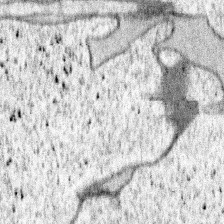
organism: Human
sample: HeLa cells